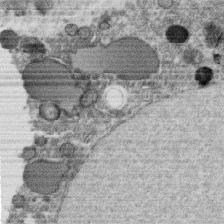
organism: C. elegans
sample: C. elegans oocyte; sperm cells